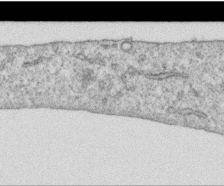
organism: Human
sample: Centriole in RPE cells